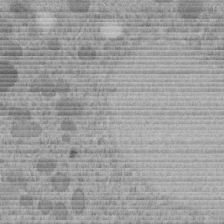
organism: C. elegans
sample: C. elegans embryo early stage